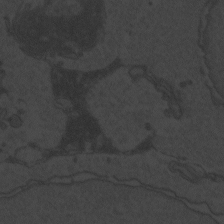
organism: Zebrafish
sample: Macrophage infected with Toxoplasma gondii